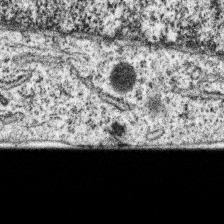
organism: Human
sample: HeLa cells